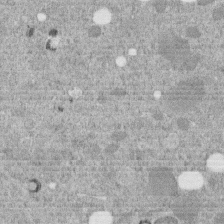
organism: C. elegans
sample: C. elegans embryo early stage